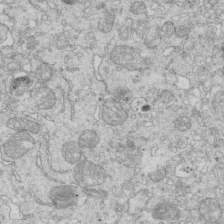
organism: Mouse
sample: Multiciliated cells